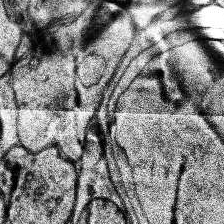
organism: Human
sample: Temporal Lobe